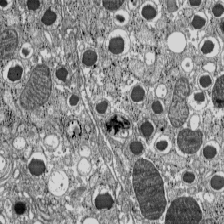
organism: C57BL Mouse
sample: Pancreatic islet